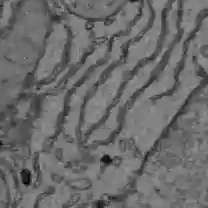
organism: C57BL Mouse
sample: Liver